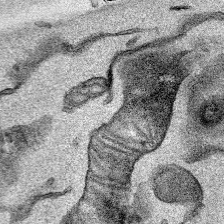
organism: Mouse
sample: Cancer cell death in ED-1 cells